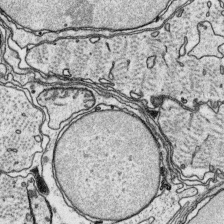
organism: Platynereis dumerilii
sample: Parapodia